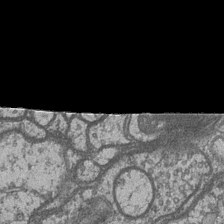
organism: Drosophila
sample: Optic medulla